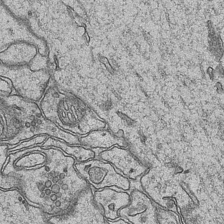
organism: Mouse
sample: CA1 Hippocampus